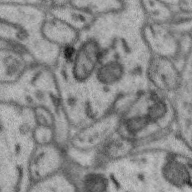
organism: Zebra finch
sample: Brain